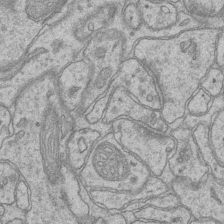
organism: Mouse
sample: CA1 Hippocampus